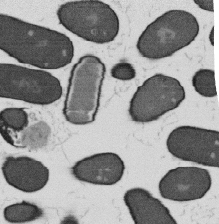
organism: B. subtilis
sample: Bacterial spore